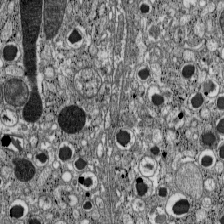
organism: C57BL Mouse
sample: Pancreatic islet